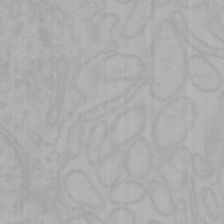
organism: Mouse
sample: Choroid plexus